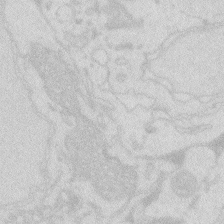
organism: Zebrafish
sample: Macrophage